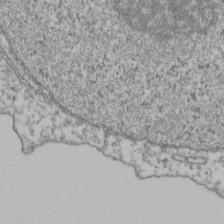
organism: Human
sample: Activated Jurkat CD4+ T cells